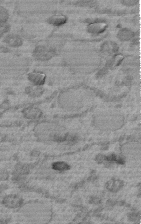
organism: C. elegans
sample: C. elegans embryo early stage